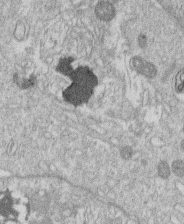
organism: Human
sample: Macrophage cells